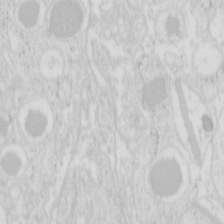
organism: Mouse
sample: Pancreas